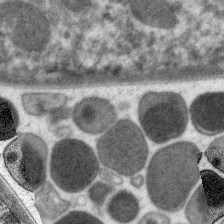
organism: C. elegans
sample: Pharynx